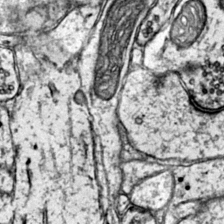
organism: Mouse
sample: Primary visual cortex